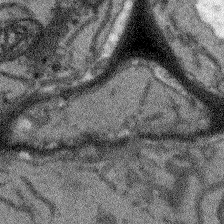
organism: Arabidopsis thaliana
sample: Root tip